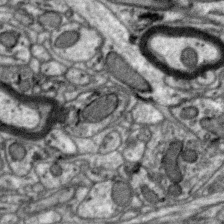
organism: Zebra finch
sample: Brain